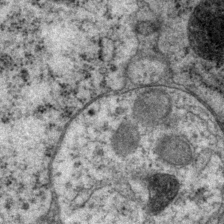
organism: P. pacificus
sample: Pharynx